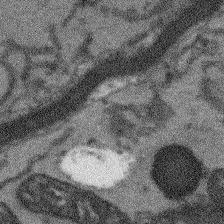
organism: Arabidopsis thaliana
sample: Root tip